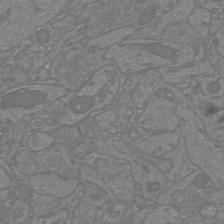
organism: Mouse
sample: Cortical neurons